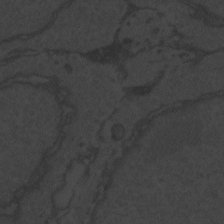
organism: Zebrafish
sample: Macrophage infected with Toxoplasma gondii